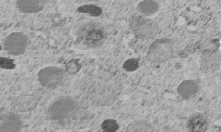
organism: C. elegans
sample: C. elegans embryo early stage